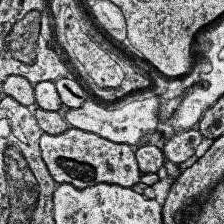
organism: Human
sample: Temporal Lobe